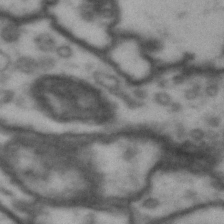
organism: Drosophila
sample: Brain